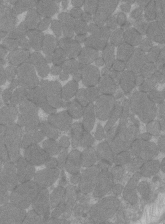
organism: C57BL Mouse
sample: Tibialis anterior muscle cell